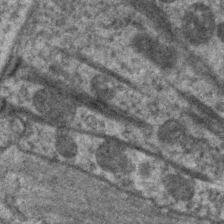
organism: C. elegans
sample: Pharynx